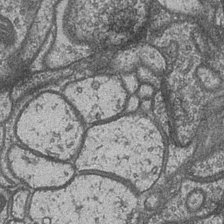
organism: Drosophila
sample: Optic medulla